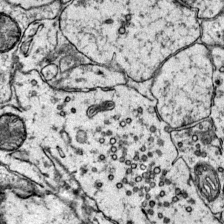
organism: Mouse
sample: Primary visual cortex